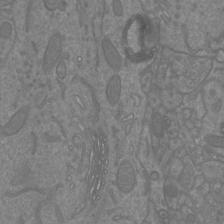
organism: Mouse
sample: Cortical neurons